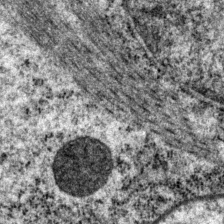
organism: P. pacificus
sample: Pharynx